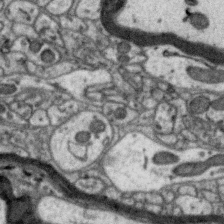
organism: Zebra finch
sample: Brain